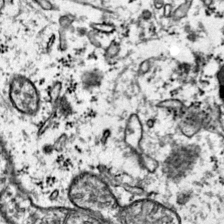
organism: Mouse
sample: Primary visual cortex